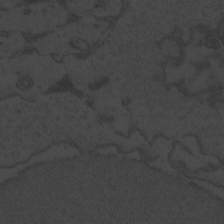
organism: Zebrafish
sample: Macrophage infected with Toxoplasma gondii